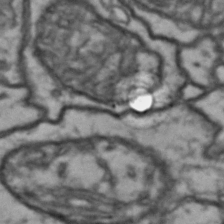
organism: Drosophila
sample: Brain